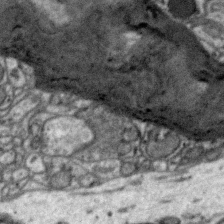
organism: Zebra finch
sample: Brain